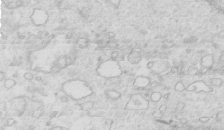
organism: Mouse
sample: Multiciliated cells